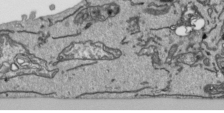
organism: Human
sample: Mitochondria in HCT116 cells